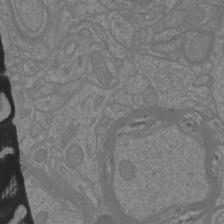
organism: Mouse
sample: Cortical neurons